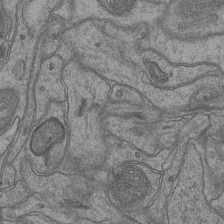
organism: Mouse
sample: CA1 Hippocampus